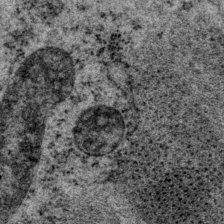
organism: P. pacificus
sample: Pharynx